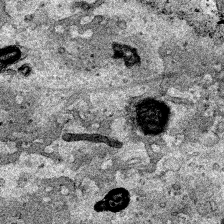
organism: Human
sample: Mitochondria in HCT116 cells